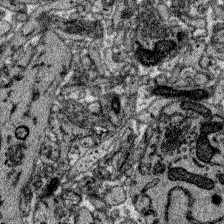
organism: Zebrafish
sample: Larval olfactory bulb